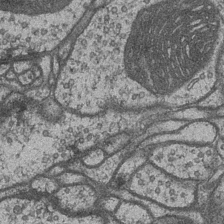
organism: Drosophila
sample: Optic medulla